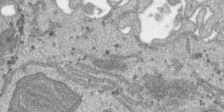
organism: Human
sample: Lung epithelial cells infected with SARS-CoV-2